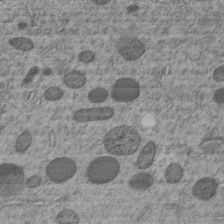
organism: C. elegans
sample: C. elegans embryo early stage